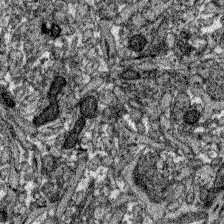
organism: Zebrafish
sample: Larval olfactory bulb